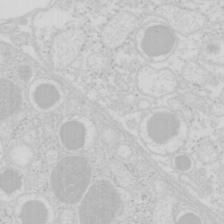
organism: Mouse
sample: Pancreas